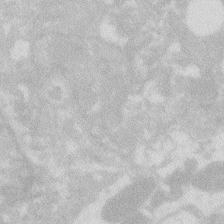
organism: Zebrafish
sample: Macrophage